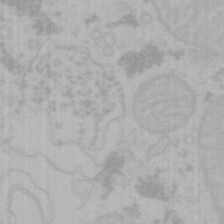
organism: Mouse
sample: Choroid plexus